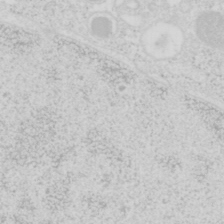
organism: Mouse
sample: Pancreas